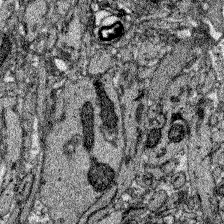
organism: Zebrafish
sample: Larval olfactory bulb